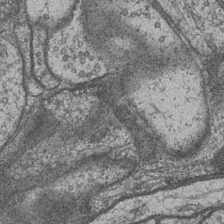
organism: Drosophila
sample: Optic medulla